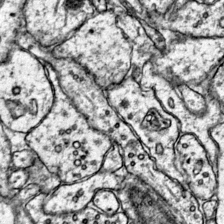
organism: Mouse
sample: Primary visual cortex